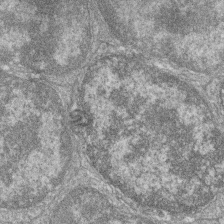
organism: Zebrafish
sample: Cilia; retinal pigment epithelium